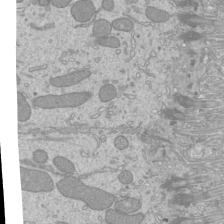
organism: Mouse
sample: Cilia; mouse epididymis